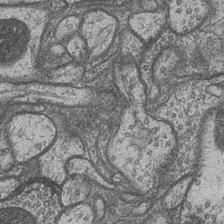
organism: Drosophila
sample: Optic medulla